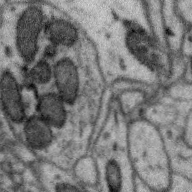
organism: Zebra finch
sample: Brain